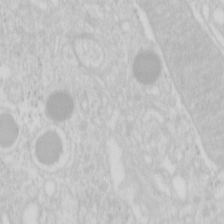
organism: Mouse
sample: Pancreas